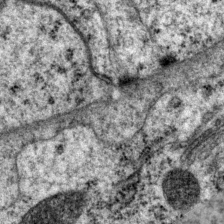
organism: P. pacificus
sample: Pharynx